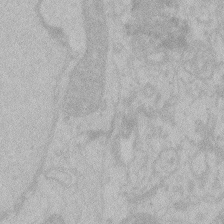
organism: Zebrafish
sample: Macrophage infected with Toxoplasma gondii